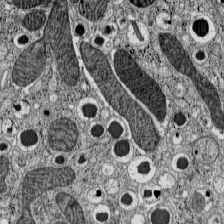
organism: C57BL Mouse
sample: Pancreatic islet